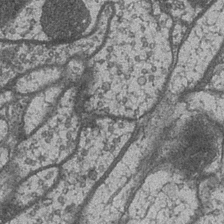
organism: Drosophila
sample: Optic medulla